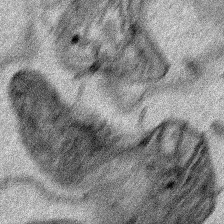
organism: Human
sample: Mitochondria in HCT116 cells